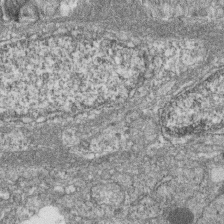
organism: Zebrafish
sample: Cilia; retinal pigment epithelium